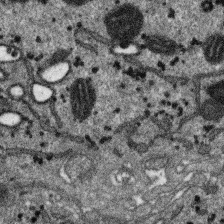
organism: Human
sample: Lung epithelial cells infected with SARS-CoV-2